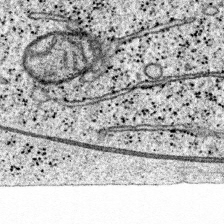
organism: Human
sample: HeLa cells